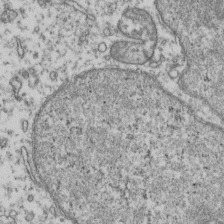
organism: Human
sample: Activated Jurkat CD4+ T cells